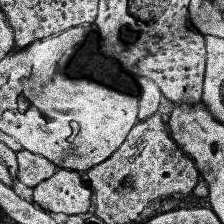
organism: Human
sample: Temporal Lobe